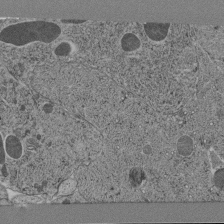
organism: C. elegans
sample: C. elegans pharynx